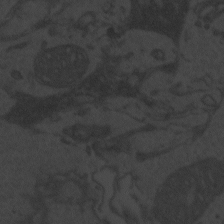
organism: Zebrafish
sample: Macrophage infected with Toxoplasma gondii